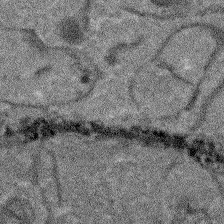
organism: Arabidopsis thaliana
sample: Root tip